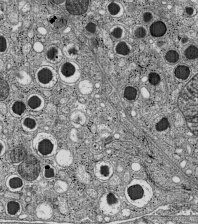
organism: C57BL Mouse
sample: Pancreatic islet